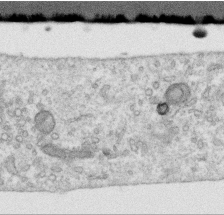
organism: Human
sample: Centriole in RPE cells